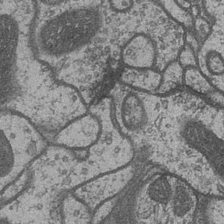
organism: Drosophila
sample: Optic medulla